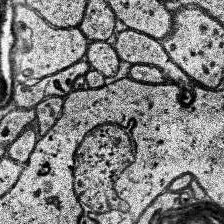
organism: Human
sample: Temporal Lobe